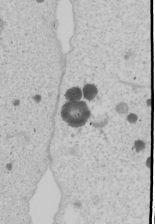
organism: Human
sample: Mitochondria in U2OS cells